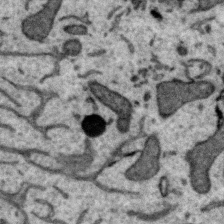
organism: Zebra finch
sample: Brain